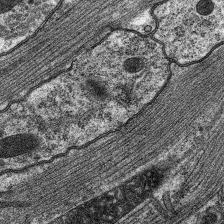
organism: C. elegans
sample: Pharynx